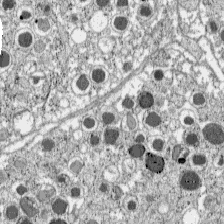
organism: C57BL Mouse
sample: Pancreatic islet